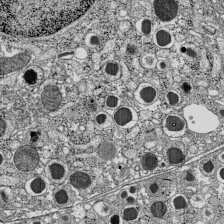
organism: C57BL Mouse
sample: Pancreatic islet